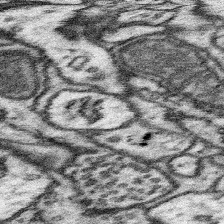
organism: Mouse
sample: Somatosensory cortex neuropil